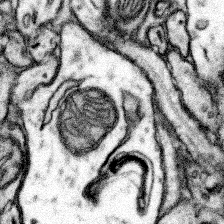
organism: Mouse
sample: Somatosensory cortex neuropil